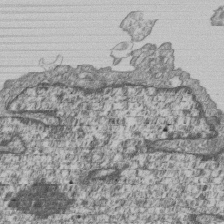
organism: Human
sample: MDA-MB-231 cells